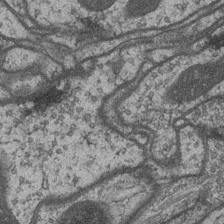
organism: Drosophila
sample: Optic medulla